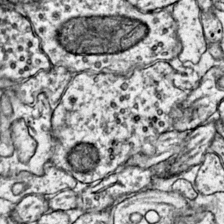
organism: Mouse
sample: Primary visual cortex